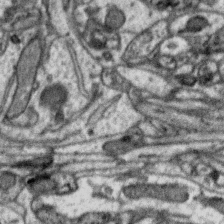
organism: Zebra finch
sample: Brain